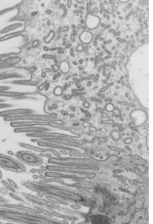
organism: Mouse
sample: Mouse epididymis efferent ductule cilia